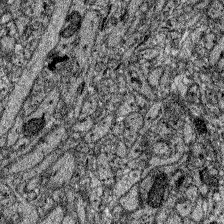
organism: Zebrafish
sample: Larval olfactory bulb